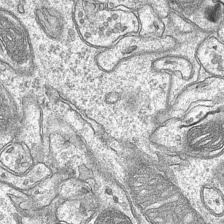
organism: Mouse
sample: CA1 Hippocampus